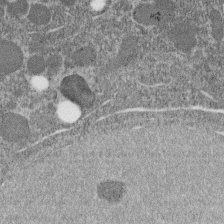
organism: C. elegans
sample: C. elegans embryo early stage